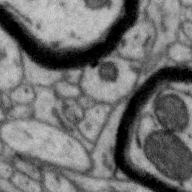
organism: Zebra finch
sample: Brain